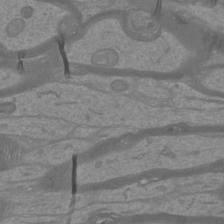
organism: Mouse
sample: Cortical neurons